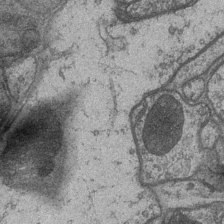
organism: Drosophila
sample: Optic medulla